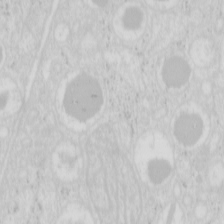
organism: Mouse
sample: Pancreas